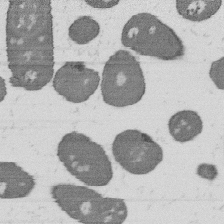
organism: B. subtilis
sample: Bacterial spore